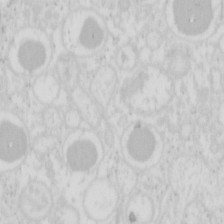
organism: Mouse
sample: Pancreas